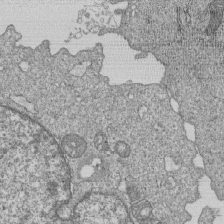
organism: Human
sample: MDA-MB-231 cells